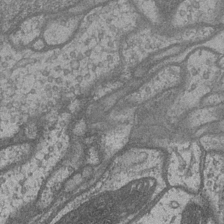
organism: Drosophila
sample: Optic medulla